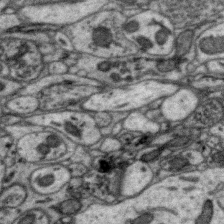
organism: Zebra finch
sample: Brain